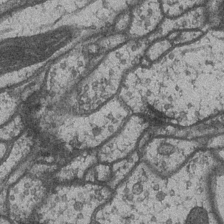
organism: Drosophila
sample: Optic medulla